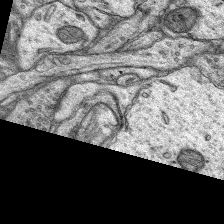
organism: Rat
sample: Hippocampus